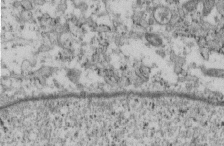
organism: Mouse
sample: Cilia; retinal pigment epithelium